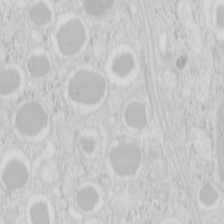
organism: Mouse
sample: Pancreas